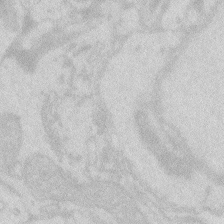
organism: Zebrafish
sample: Macrophage